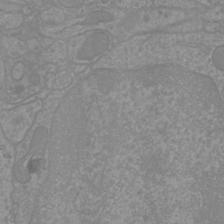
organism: Mouse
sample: Cortical neurons